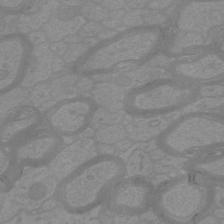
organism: Mouse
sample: Cortical neurons